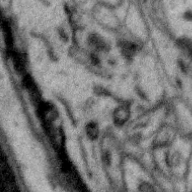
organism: Zebra finch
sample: Brain